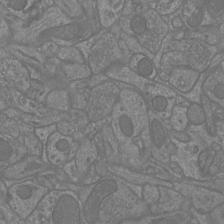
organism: Mouse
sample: Cortical neurons